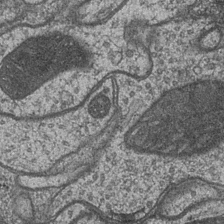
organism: Drosophila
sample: Optic medulla